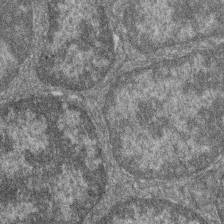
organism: Zebrafish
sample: Cilia; retinal pigment epithelium